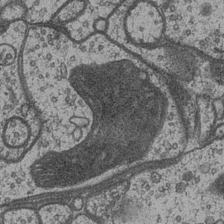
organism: Drosophila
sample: Optic medulla